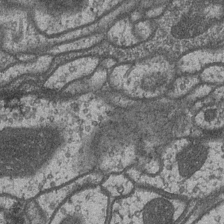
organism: Drosophila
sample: Optic medulla